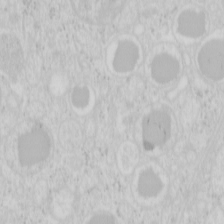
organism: Mouse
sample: Pancreas